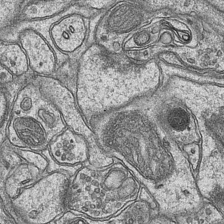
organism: Mouse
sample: CA1 Hippocampus